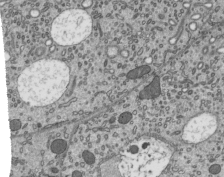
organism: Mouse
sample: Mouse epididymis efferent ductule cilia